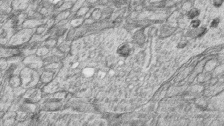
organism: Zebrafish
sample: synaptic ribbons in rod cells and cone cells